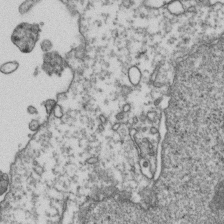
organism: Human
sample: Activated Jurkat CD4+ T cells